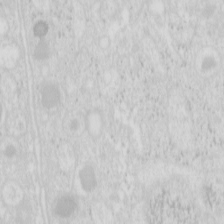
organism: Mouse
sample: Pancreas